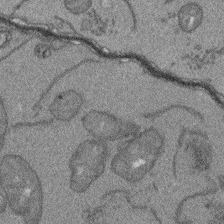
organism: Arabidopsis thaliana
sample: Root tip